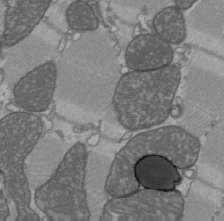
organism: C57BL Mouse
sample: Heart